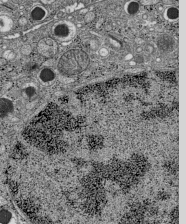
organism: C57BL Mouse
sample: Pancreatic islet